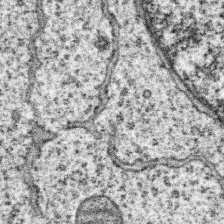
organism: Human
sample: HeLa cells